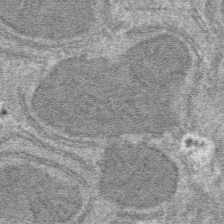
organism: Mouse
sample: Mouse hepatocytes